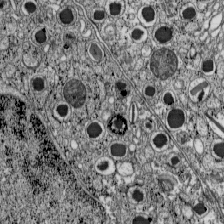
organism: C57BL Mouse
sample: Pancreatic islet